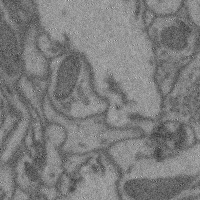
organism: Mouse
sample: Cerebral cortex